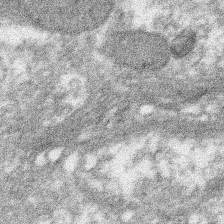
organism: Xenopus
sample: Cilia; centrioles in frog embryo cells